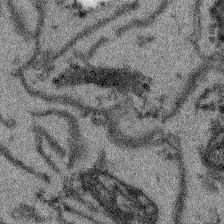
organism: Arabidopsis thaliana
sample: Root tip